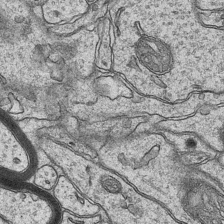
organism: Mouse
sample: CA1 Hippocampus